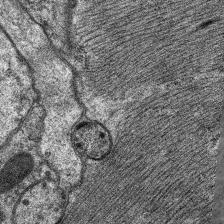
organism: C. elegans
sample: Pharynx